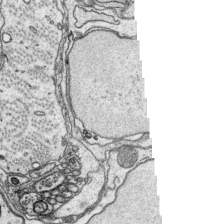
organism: Platynereis dumerilii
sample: Parapodia